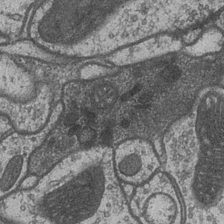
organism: Drosophila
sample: Optic medulla